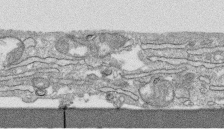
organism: Human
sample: CRL-1474